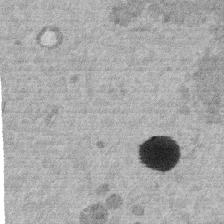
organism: Mouse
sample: Dividing mouse embryo 1 cell stage